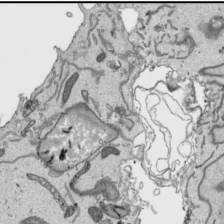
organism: Human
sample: Mitochondria in HCT116 cells